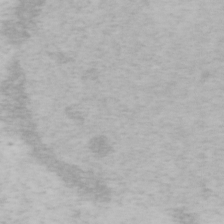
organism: Mouse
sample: OT-I killer T cells with ID8 ovarian cancer cells